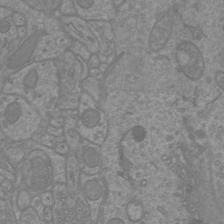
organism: Mouse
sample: Cortical neurons